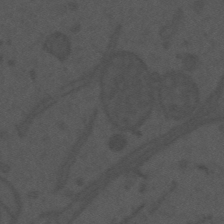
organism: Mouse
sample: Suprachiasmatic nucleus